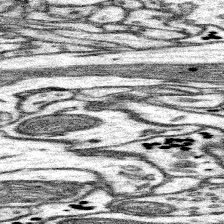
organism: Mouse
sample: Somatosensory cortex neuropil